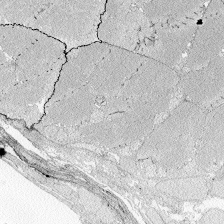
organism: Zebrafish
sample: Whole-Brain